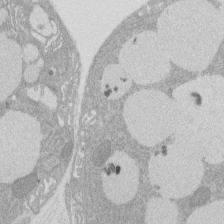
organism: Rat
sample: Salivary granule